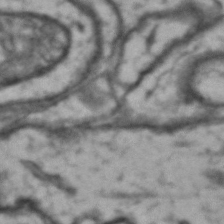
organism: Drosophila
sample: Brain